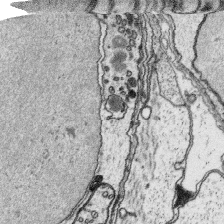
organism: Platynereis dumerilii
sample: Parapodia